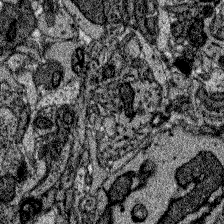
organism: Zebrafish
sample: Larval olfactory bulb